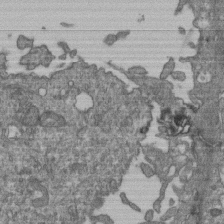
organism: Human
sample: Retinal organoid Rod and Cone cells